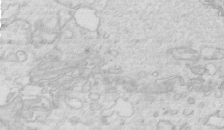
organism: Mouse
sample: Multiciliated cells